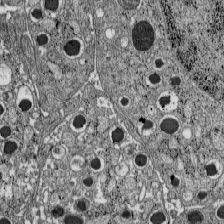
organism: C57BL Mouse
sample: Pancreatic islet